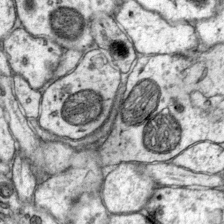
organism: Mouse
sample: Primary visual cortex